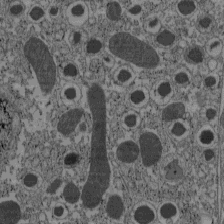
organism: C57BL Mouse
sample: Pancreatic islet